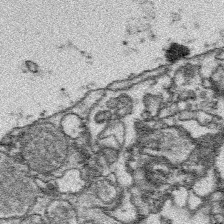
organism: Platynereis dumerilii